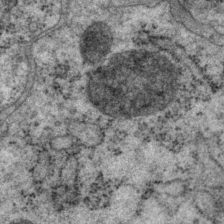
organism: P. pacificus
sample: Pharynx